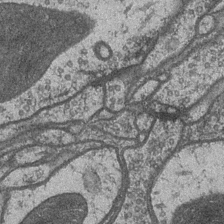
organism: Drosophila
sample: Optic medulla